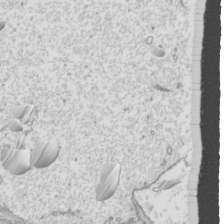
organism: Mouse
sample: Cilia; mouse epididymis